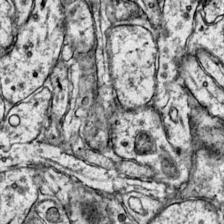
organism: Mouse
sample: Primary visual cortex